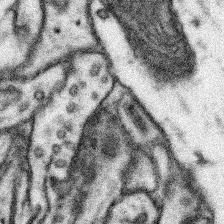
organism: Mouse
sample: Somatosensory cortex neuropil